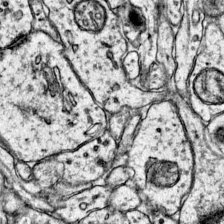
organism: Mouse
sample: Primary visual cortex